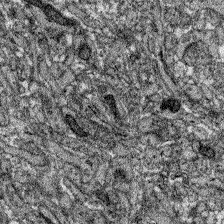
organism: Zebrafish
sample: Larval olfactory bulb